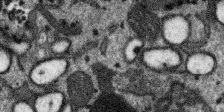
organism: Human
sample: Lung epithelial cells infected with SARS-CoV-2